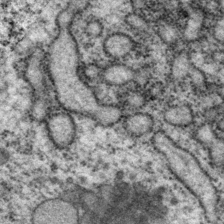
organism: P. pacificus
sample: Pharynx